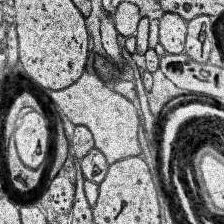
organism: Human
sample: Temporal Lobe